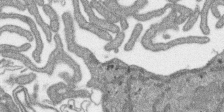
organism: Human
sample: Lung epithelial cells infected with SARS-CoV-2